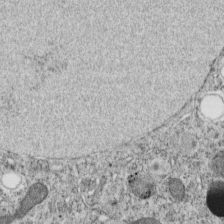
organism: C. elegans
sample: C. elegans embryo early stage